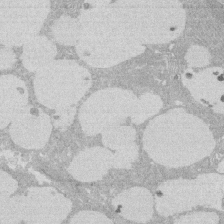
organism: Rat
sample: Salivary granule